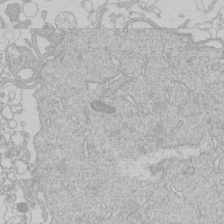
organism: Human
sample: Macrophage cells